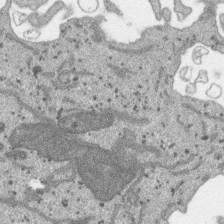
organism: Human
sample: Lung epithelial cells infected with SARS-CoV-2